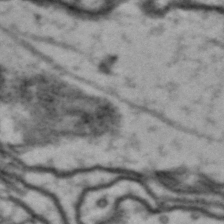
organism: Drosophila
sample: Brain